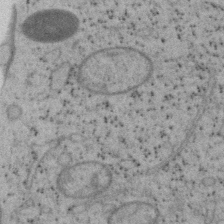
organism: Human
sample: HeLa cells